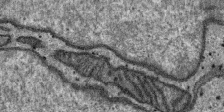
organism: Human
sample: Lung epithelial cells, uninfected (mock) control